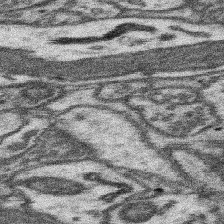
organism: Mouse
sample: Somatosensory cortex neuropil